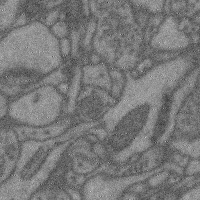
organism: Mouse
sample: Cerebral cortex